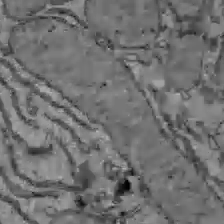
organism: C57BL Mouse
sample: Liver